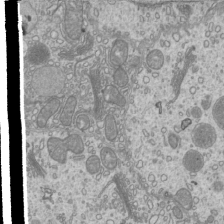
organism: Mouse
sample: Cilia; mouse epididymis